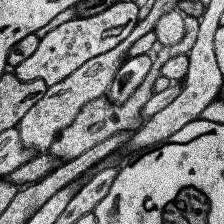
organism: Human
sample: Temporal Lobe